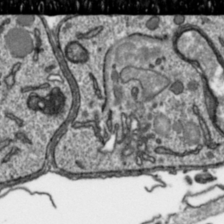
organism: Toxoplasma gondii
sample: Parasites in a vacuole inside a host cell